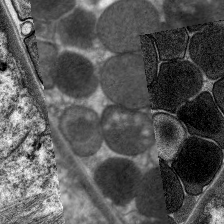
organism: C. elegans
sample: Pharynx